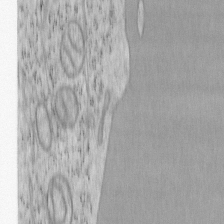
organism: Human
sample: HeLa cells